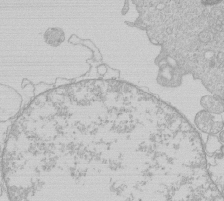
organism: Human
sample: Macrophage cells